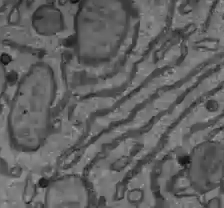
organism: C57BL Mouse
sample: Liver